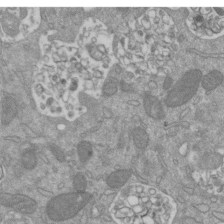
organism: Mouse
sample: ED-1 cell nuclei; centrioles